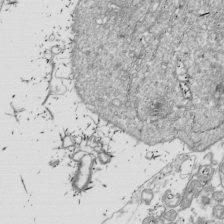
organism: Drosophila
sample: Cell division; meiosis; drosophila spermatocytes